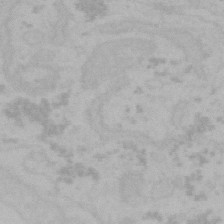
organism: Mouse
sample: Choroid plexus